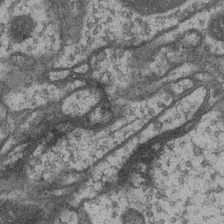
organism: Drosophila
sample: Optic medulla